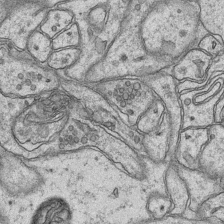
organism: Mouse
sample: CA1 Hippocampus